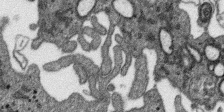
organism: Human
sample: Lung epithelial cells infected with SARS-CoV-2